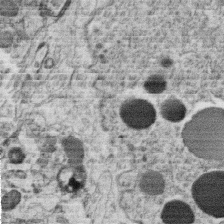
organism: C. elegans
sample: C. elegans oocyte; sperm cells